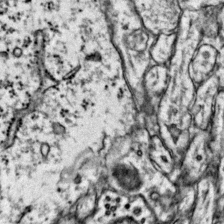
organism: Mouse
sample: Primary visual cortex